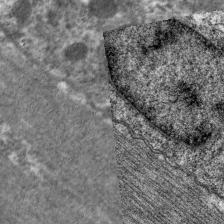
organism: C. elegans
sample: Pharynx